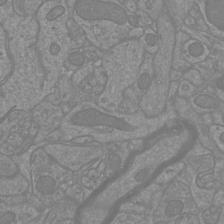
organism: Mouse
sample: Cortical neurons